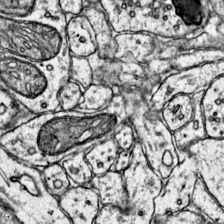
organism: Mouse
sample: Primary visual cortex